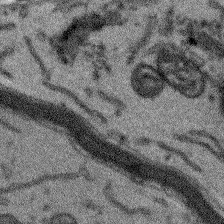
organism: Arabidopsis thaliana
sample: Root tip